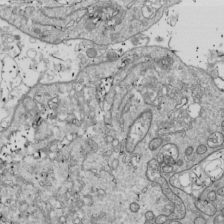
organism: Drosophila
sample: Cell division; meiosis; drosophila spermatocytes